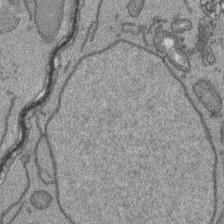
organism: Arabidopsis thaliana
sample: Root tip